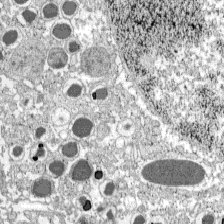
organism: C57BL Mouse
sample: Pancreatic islet